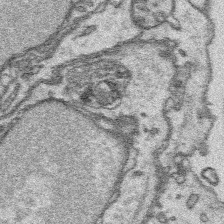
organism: Platynereis dumerilii